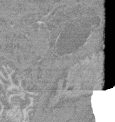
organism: Mouse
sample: Glomerulus